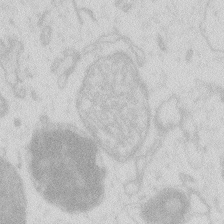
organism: Zebrafish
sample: Macrophage